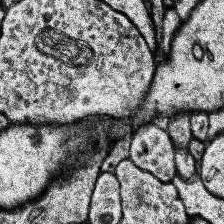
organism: Human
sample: Temporal Lobe